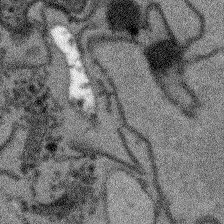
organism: Arabidopsis thaliana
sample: Root tip